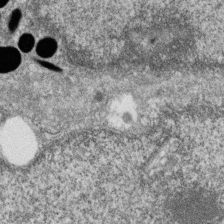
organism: Zebrafish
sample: Cilia; retinal pigment epithelium